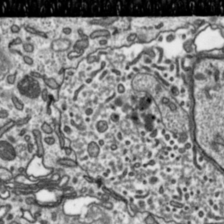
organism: Toxoplasma gondii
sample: Parasites in a vacuole inside a host cell